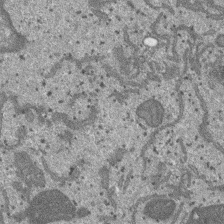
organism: Human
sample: Lung epithelial cells infected with SARS-CoV-2